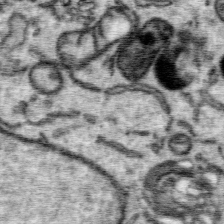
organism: Human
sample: HeLa cells